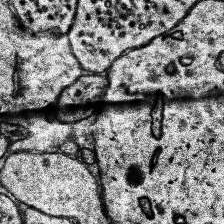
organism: Human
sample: Temporal Lobe